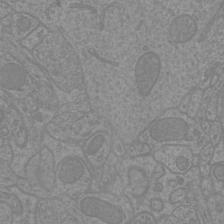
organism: Mouse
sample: Cortical neurons